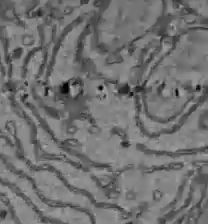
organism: C57BL Mouse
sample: Liver